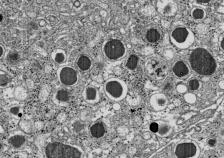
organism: C57BL Mouse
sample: Pancreatic islet